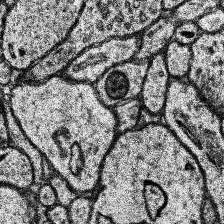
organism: Human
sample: Temporal Lobe